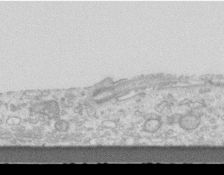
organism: Mouse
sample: Centriole in ependymal cells